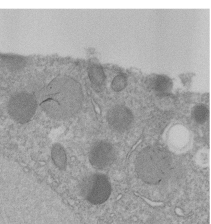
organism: C. elegans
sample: C. elegans embryo early stage